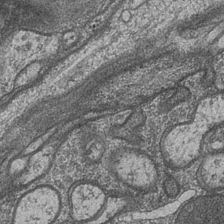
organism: Drosophila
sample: Optic medulla